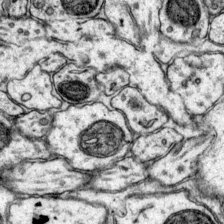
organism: Mouse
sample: Primary visual cortex